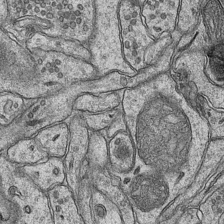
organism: Mouse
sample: CA1 Hippocampus